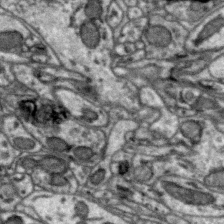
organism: Zebra finch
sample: Brain